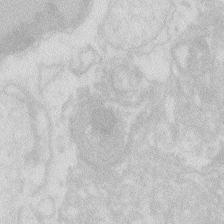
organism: Zebrafish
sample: Macrophage